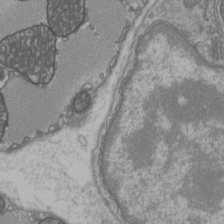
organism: C57BL Mouse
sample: Heart